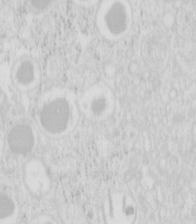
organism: Mouse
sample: Pancreas